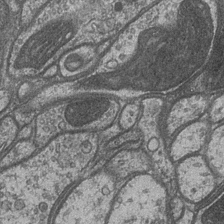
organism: Drosophila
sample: Optic medulla